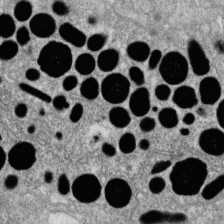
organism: Zebrafish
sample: Cilia; retinal pigment epithelium